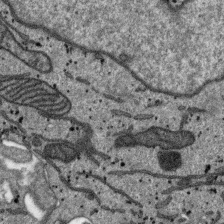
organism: Human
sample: Lung epithelial cells, uninfected (mock) control